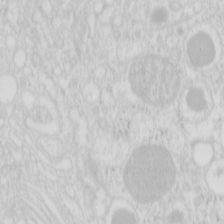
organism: Mouse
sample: Pancreas